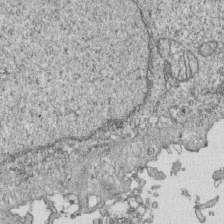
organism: Human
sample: HeLa cell HIV synapse